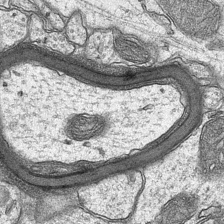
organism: Mouse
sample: CA1 Hippocampus